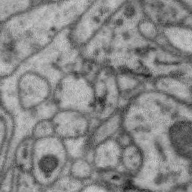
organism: Zebra finch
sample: Brain